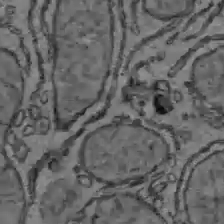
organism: C57BL Mouse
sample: Liver